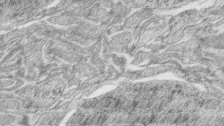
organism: Zebrafish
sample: synaptic ribbons in rod cells and cone cells